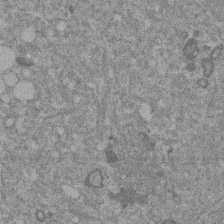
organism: Mouse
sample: Dividing mouse embryo 1 cell stage